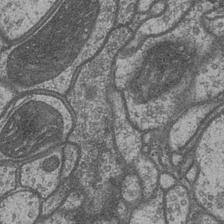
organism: Drosophila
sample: Optic medulla